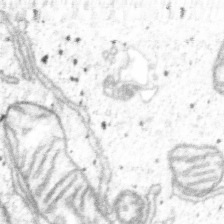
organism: Human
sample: HeLa cells